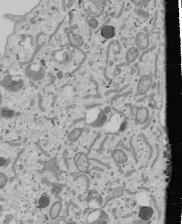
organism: Human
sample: Mitochondria in U2OS cells